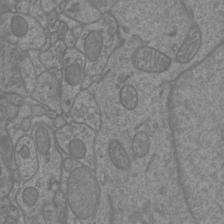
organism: Mouse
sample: Cortical neurons